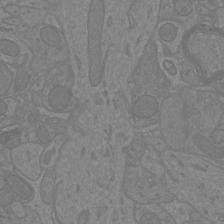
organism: Mouse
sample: Cortical neurons